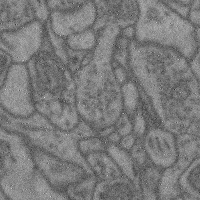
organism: Mouse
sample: Cerebral cortex